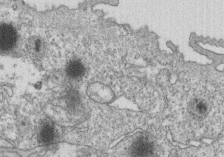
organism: Human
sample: HeLa cell HIV synapse